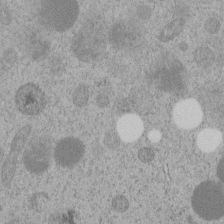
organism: C. elegans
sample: C. elegans embryo early stage